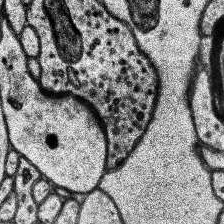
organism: Human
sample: Temporal Lobe